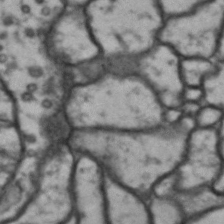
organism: Drosophila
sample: Brain